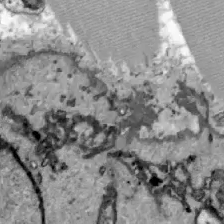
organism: Zebrafish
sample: Actinotrichia fibers